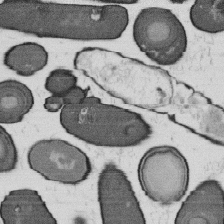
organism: B. subtilis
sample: Bacterial spore